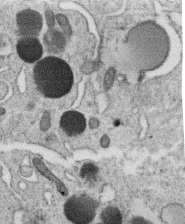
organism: C. elegans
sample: C. elegans oocyte; sperm cells